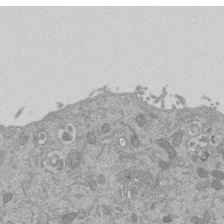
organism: Mouse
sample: ED-1 cell nuclei; centrioles